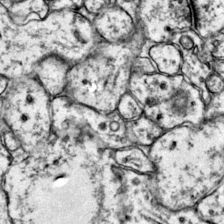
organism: Mouse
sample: Primary visual cortex